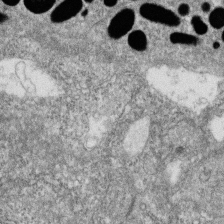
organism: Zebrafish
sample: Cilia; retinal pigment epithelium